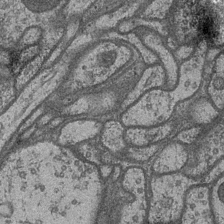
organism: Drosophila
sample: Optic medulla